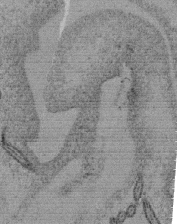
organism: Tetrahymena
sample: Cilia in tetrahymena